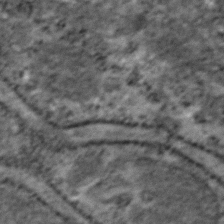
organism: Zebrafish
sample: Zebrafish embryo